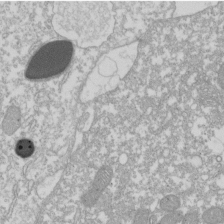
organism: Xenopus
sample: Cilia; centrioles in frog embryo cells